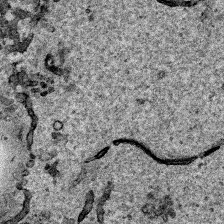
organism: Human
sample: Mitochondria in HCT116 cells